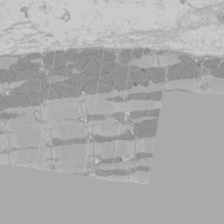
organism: Rat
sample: Left ventricle